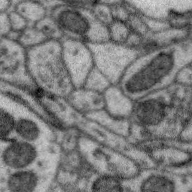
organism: Zebra finch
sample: Brain